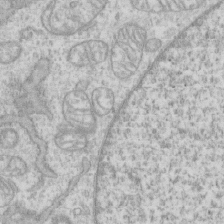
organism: Human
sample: CRL-1474